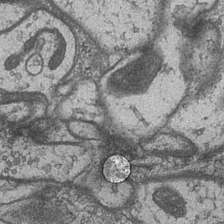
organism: Drosophila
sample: Optic medulla